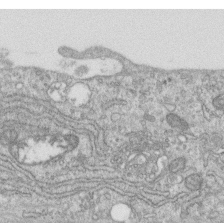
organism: Human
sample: Centriole in RPE cells